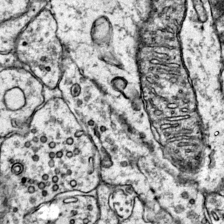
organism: Mouse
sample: Primary visual cortex